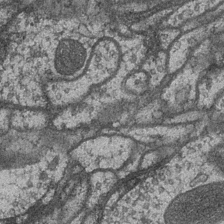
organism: Drosophila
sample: Optic medulla